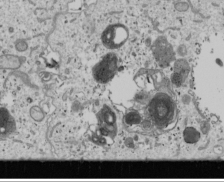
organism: Human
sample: Mitochondria in U2OS cells